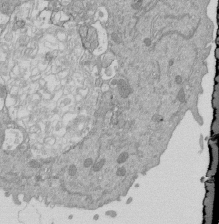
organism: Mouse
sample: ED-1 cell nuclei; centrioles